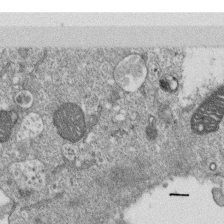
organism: African green monkey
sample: Vero E6 cells infected with SARS-CoV-2